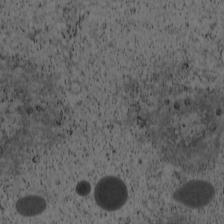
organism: African green monkey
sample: COS-7 cells